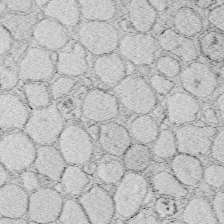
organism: Zebrafish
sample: Whole-Brain